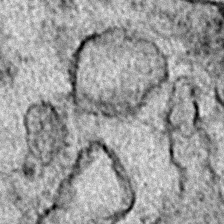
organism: Zebrafish